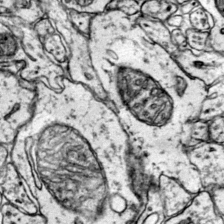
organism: Mouse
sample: Primary visual cortex